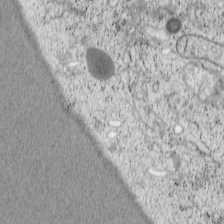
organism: African green monkey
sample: COS-7 cells